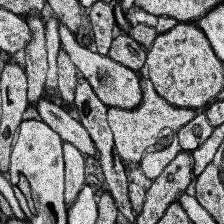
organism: Human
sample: Temporal Lobe